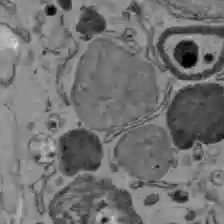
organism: C57BL Mouse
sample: Liver